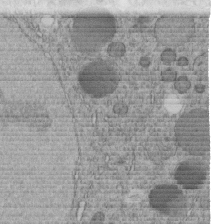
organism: C. elegans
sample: C. elegans embryo early stage